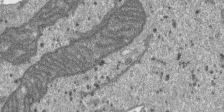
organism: Human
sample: Lung epithelial cells infected with SARS-CoV-2